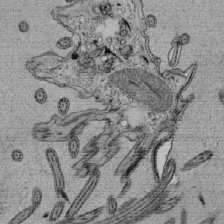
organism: Tetrahymena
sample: Cilia in tetrahymena